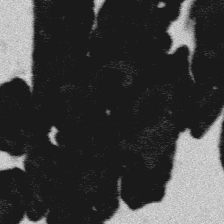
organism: Platynereis dumerilii